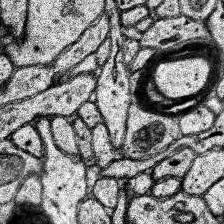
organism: Human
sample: Temporal Lobe